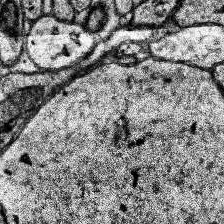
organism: Human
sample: Temporal Lobe